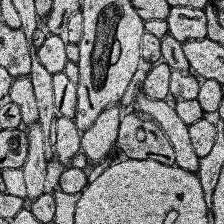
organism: Human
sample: Temporal Lobe